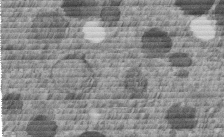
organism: C. elegans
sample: C. elegans embryo early stage